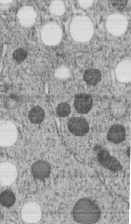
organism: C. elegans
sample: C. elegans embryo early stage